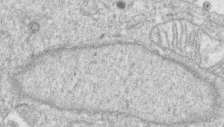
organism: Human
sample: HeLa cell HIV synapse